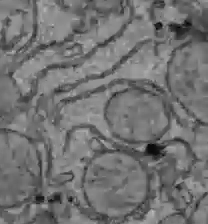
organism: C57BL Mouse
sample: Liver